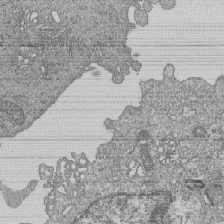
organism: Human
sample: MDA-MB-231 cells